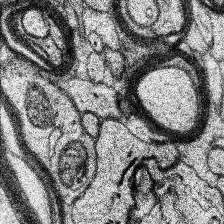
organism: Human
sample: Temporal Lobe